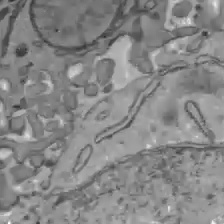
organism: C57BL Mouse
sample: Liver